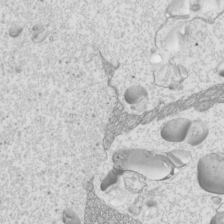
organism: Mouse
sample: Cilia; mouse epididymis